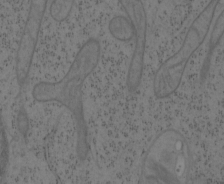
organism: Mouse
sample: OT-I killer T cells with ID8 ovarian cancer cells